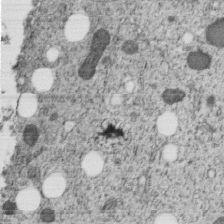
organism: C. elegans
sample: C. elegans embryo early stage